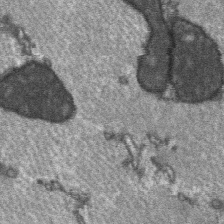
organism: C57BL Mouse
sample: Soleus